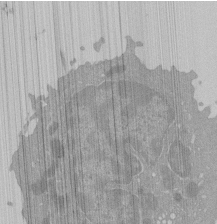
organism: Mouse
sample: Activated Pmel transgenic CD8+ T Cells